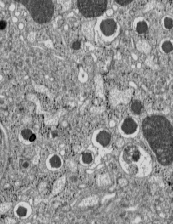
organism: C57BL Mouse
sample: Pancreatic islet